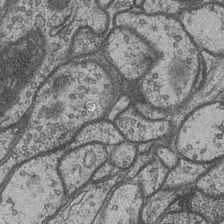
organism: Drosophila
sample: Optic medulla